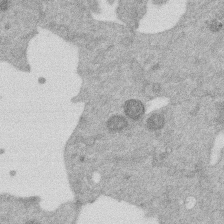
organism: Mouse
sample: Dividing mouse embryo 1 cell stage